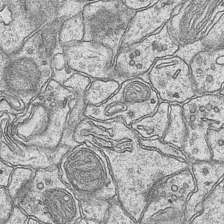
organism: Mouse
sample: CA1 Hippocampus